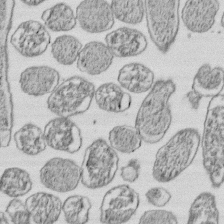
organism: E. coli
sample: Bacterial nucleoid